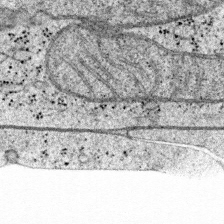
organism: Human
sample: HeLa cells